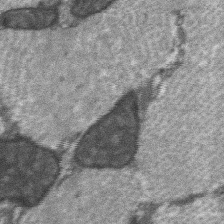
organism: C57BL Mouse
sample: Soleus